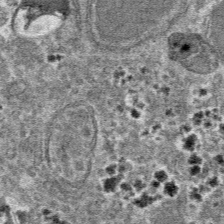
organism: Mouse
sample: Mouse hepatocytes